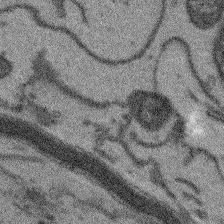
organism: Arabidopsis thaliana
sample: Root tip